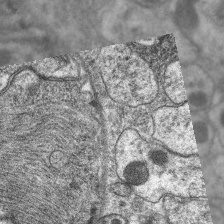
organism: C. elegans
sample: Pharynx